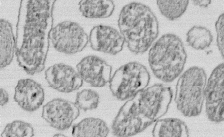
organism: E. coli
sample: Bacterial nucleoid